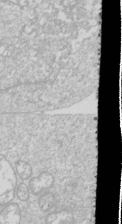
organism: Drosophila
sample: Cell division; meiosis; drosophila spermatocytes